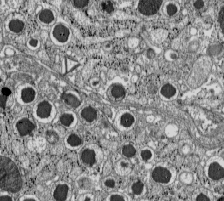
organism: C57BL Mouse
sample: Pancreatic islet